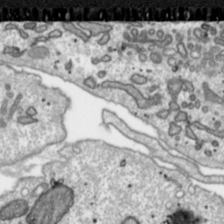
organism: Toxoplasma gondii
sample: Parasites in a vacuole inside a host cell